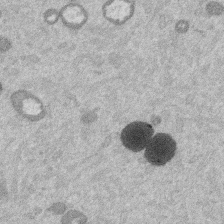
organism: Mouse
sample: Dividing mouse embryo 1 cell stage